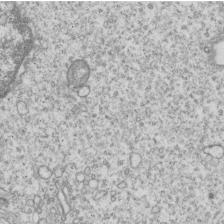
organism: Human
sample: MDA-MB-231 cells